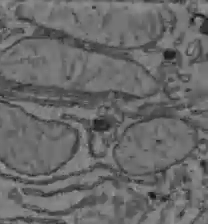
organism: C57BL Mouse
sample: Liver